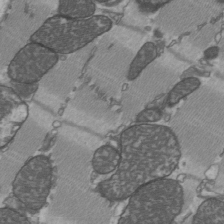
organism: C57BL Mouse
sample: Heart